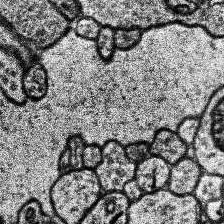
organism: Human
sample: Temporal Lobe